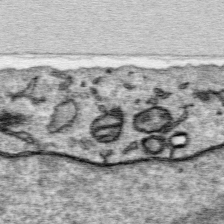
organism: Human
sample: HeLa cells